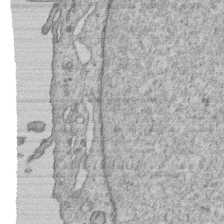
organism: Human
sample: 1205lu cells